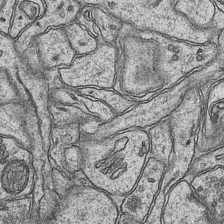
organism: Mouse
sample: CA1 Hippocampus